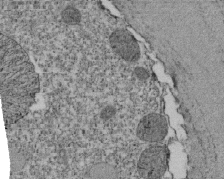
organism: Tetrahymena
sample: Cilia in tetrahymena